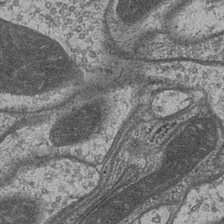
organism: Drosophila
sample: Optic medulla